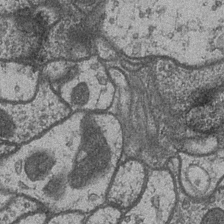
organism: Drosophila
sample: Optic medulla